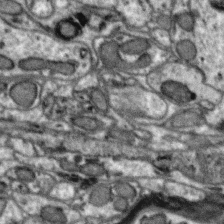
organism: Zebra finch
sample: Brain